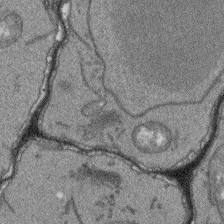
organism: Arabidopsis thaliana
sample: Root tip